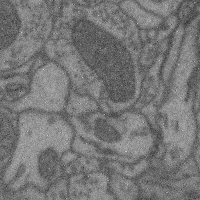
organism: Mouse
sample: Cerebral cortex